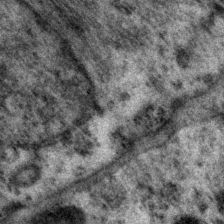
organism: P. pacificus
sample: Pharynx